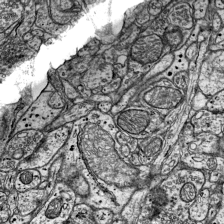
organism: Mouse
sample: Visual Cortex